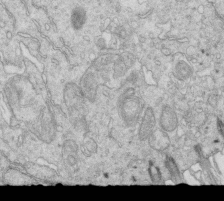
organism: Mouse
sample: Multiciliated cells